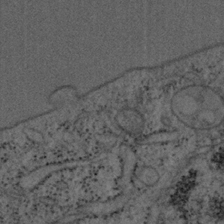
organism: Human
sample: HeLa cells